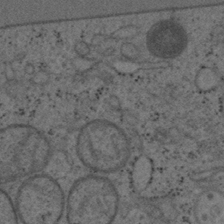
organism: Human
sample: HeLa cells